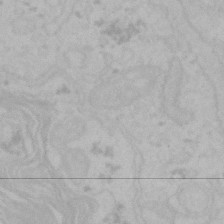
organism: Mouse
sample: Choroid plexus